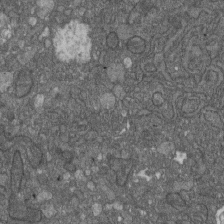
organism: Drosophila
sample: Nephrocyte